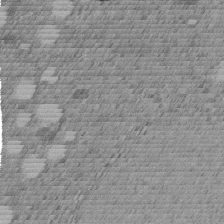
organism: C. elegans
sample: C. elegans embryo early stage